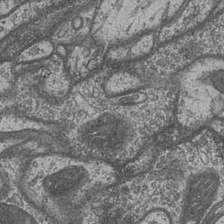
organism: Drosophila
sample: Optic medulla